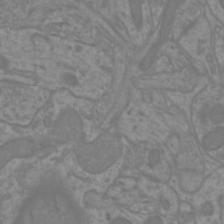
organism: Mouse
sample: Cortical neurons